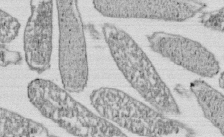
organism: E. coli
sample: Bacterial nucleoid